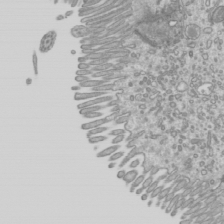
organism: Mouse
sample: Cilia; mouse epididymis